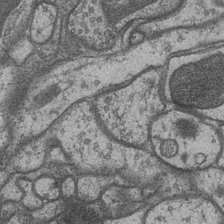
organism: Drosophila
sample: Optic medulla